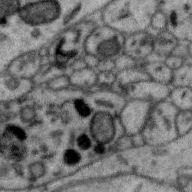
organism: Zebra finch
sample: Brain